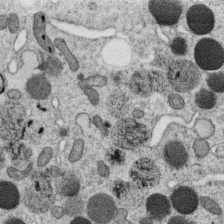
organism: C. elegans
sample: C. elegans oocyte; sperm cells